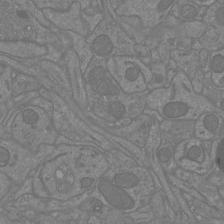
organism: Mouse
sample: Cortical neurons